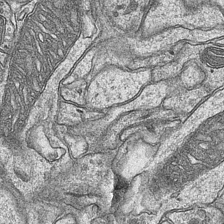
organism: Mouse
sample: CA1 Hippocampus